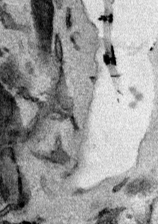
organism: Mouse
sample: Cancer cell death in ED-1 cells